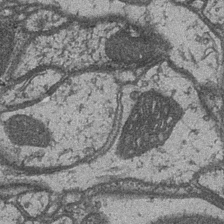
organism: Drosophila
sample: Optic medulla